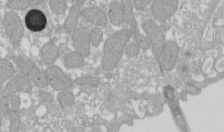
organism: Xenopus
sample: Cilia; centrioles in frog embryo cells